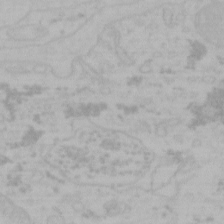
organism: Mouse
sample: Choroid plexus